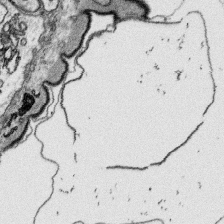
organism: Platynereis dumerilii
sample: Parapodia